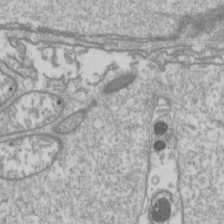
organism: Drosophila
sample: Cell division; meiosis; drosophila spermatocytes